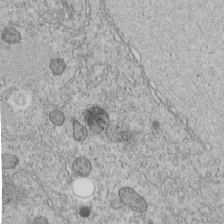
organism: C. elegans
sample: C. elegans embryo early stage